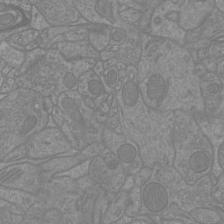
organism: Mouse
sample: Cortical neurons